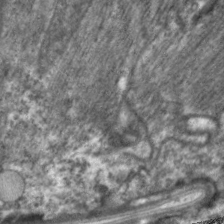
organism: C. elegans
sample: Pharynx